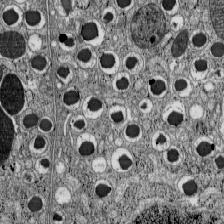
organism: C57BL Mouse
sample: Pancreatic islet